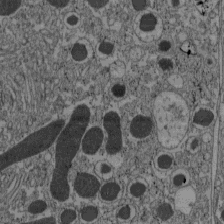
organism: C57BL Mouse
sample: Pancreatic islet